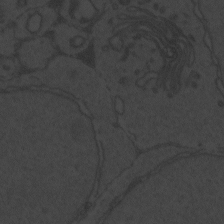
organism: Zebrafish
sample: Macrophage infected with Toxoplasma gondii